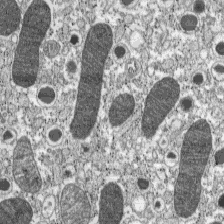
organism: C57BL Mouse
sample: Pancreatic islet